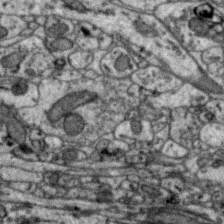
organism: Zebra finch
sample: Brain